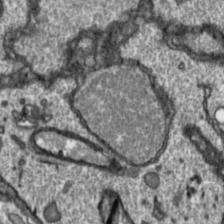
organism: Toxoplasma gondii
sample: Parasites in a vacuole inside a host cell